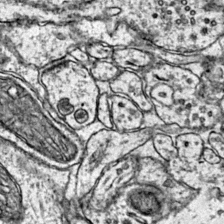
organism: Mouse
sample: Primary visual cortex